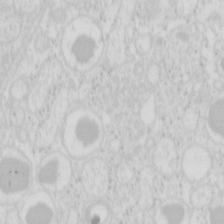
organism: Mouse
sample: Pancreas